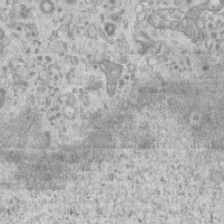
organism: Mouse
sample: Centriole in ependymal cells